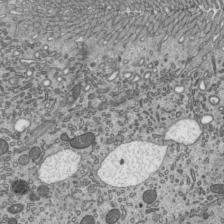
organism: Mouse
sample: Mouse epididymis efferent ductule cilia